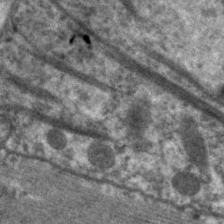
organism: C. elegans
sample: Pharynx